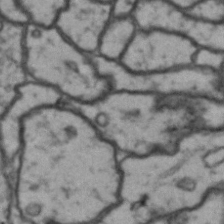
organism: Drosophila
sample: Brain